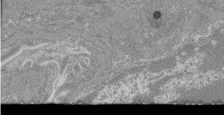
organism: Mouse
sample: Glomerulus